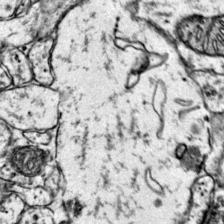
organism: Mouse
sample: Primary visual cortex